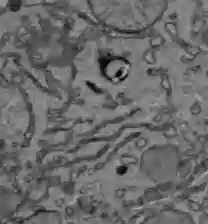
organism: C57BL Mouse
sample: Liver